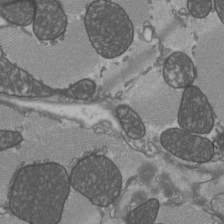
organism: C57BL Mouse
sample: Heart